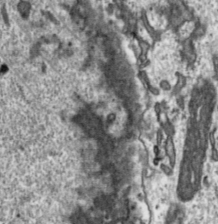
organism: Toxoplasma gondii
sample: Parasites in a vacuole inside a host cell